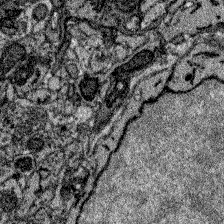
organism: Zebrafish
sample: Larval olfactory bulb